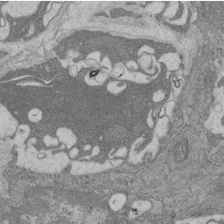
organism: Rat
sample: Salivary granule